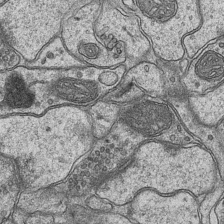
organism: Mouse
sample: CA1 Hippocampus